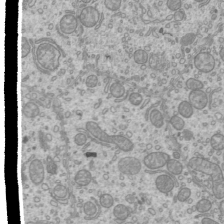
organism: Mouse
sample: Cilia; mouse epididymis